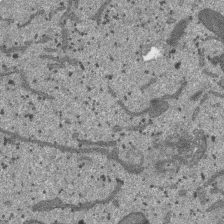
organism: Human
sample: Lung epithelial cells infected with SARS-CoV-2